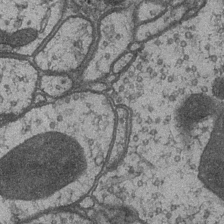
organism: Drosophila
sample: Optic medulla